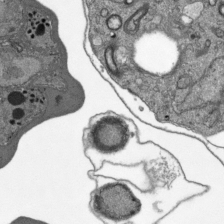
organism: Plasmodium falciparum